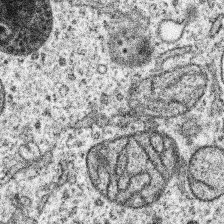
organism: Human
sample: HeLa cells